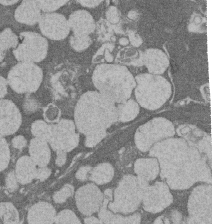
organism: Rat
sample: Salivary granule